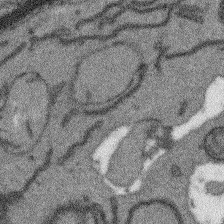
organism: Arabidopsis thaliana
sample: Root tip